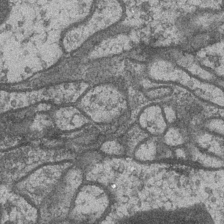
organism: Drosophila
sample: Optic medulla